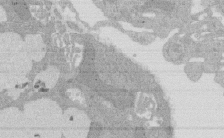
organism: Rat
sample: Salivary granule